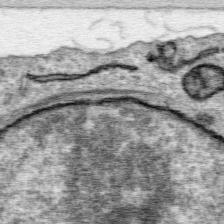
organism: Human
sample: HeLa cells